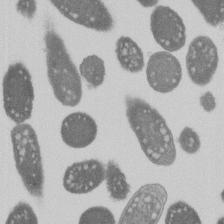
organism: E. coli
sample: Bacterial nucleoid